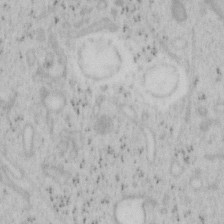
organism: Human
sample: HeLa cells